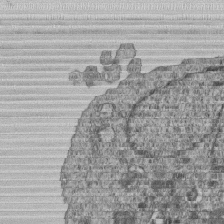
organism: Human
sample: MDA-MB-231 cells